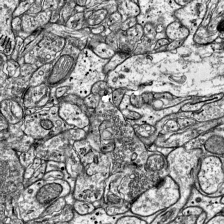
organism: Mouse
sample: Visual Cortex